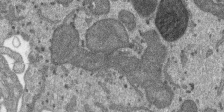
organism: Human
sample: Lung epithelial cells infected with SARS-CoV-2